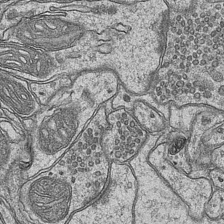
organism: Mouse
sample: CA1 Hippocampus